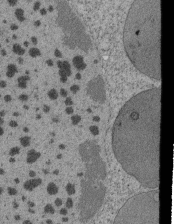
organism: Tetrahymena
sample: Cilia in tetrahymena